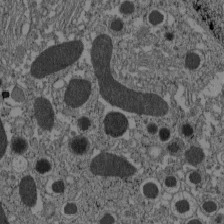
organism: C57BL Mouse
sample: Pancreatic islet